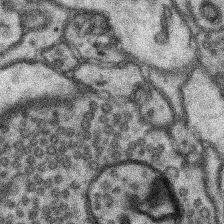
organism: Mouse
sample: Somatosensory cortex neuropil